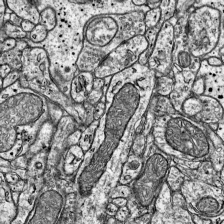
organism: Mouse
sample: Visual Cortex